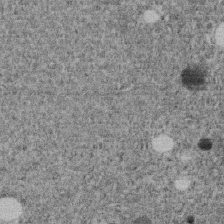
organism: C. elegans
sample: C. elegans embryo early stage